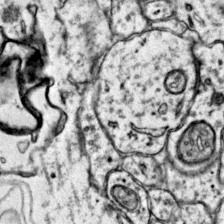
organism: Mouse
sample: Primary visual cortex